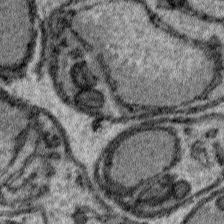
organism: Plasmodium falciparum